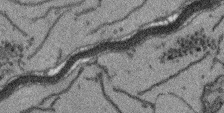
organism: Arabidopsis thaliana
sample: Root tip